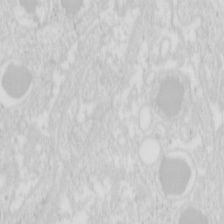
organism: Mouse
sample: Pancreas